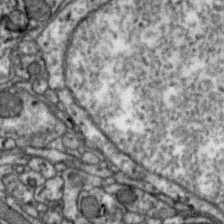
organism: Zebra finch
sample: Brain